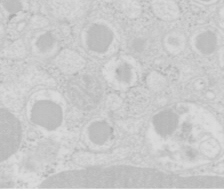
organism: Mouse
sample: Pancreas